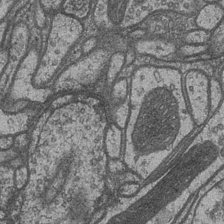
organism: Drosophila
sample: Optic medulla